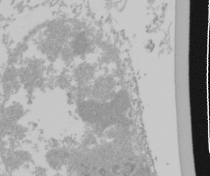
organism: Mouse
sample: Cancer cell death in ED-1 cells